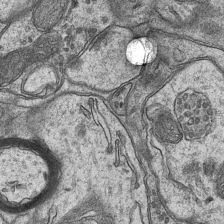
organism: Mouse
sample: CA1 Hippocampus